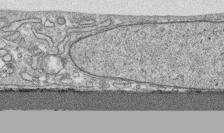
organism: Human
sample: CRL-1474